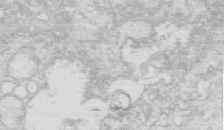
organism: Mouse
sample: Multiciliated cells